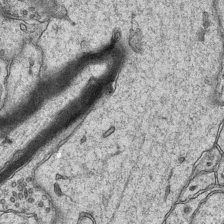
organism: Mouse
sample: CA1 Hippocampus